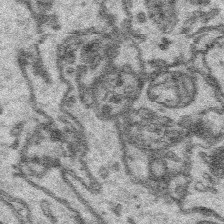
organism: Platynereis dumerilii